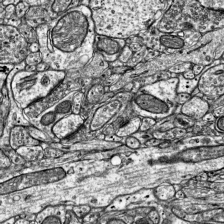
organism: Mouse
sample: Visual Cortex